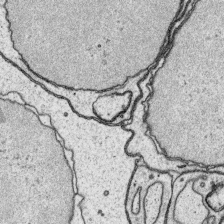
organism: Platynereis dumerilii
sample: Parapodia